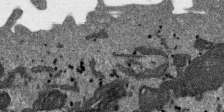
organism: Human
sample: Lung epithelial cells, uninfected (mock) control